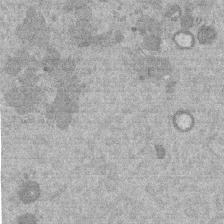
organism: Mouse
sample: Dividing mouse embryo 1 cell stage